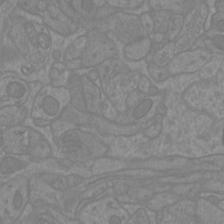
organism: Mouse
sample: Cortical neurons